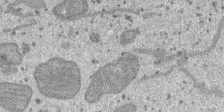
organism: Human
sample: Lung epithelial cells infected with SARS-CoV-2